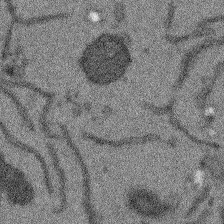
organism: Arabidopsis thaliana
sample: Root tip